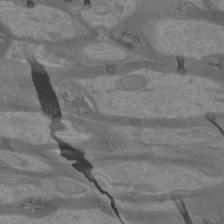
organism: Mouse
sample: Cortical neurons